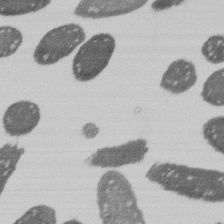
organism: E. coli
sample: Bacterial nucleoid